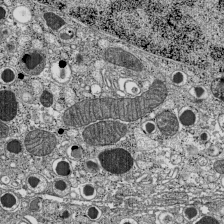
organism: C57BL Mouse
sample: Pancreatic islet